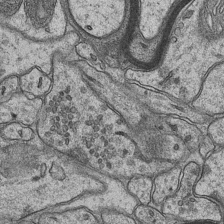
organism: Mouse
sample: CA1 Hippocampus